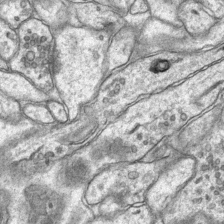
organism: Mouse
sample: CA1 Hippocampus